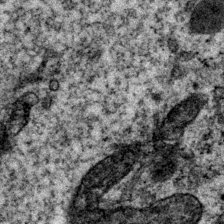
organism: P. pacificus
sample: Pharynx